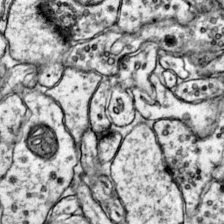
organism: Mouse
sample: Primary visual cortex